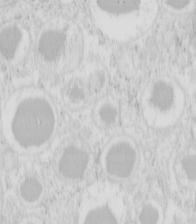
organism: Mouse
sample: Pancreas